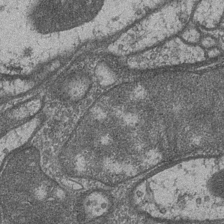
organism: Drosophila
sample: Optic medulla